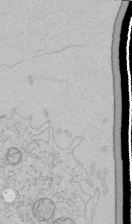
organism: Human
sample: Mitochondria in HCT116 cells